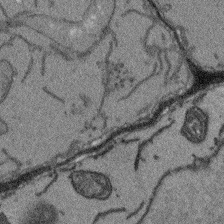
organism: Arabidopsis thaliana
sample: Root tip